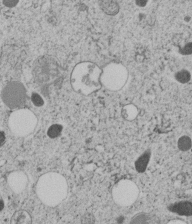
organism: C. elegans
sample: C. elegans embryo early stage